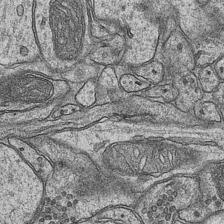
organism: Mouse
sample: CA1 Hippocampus